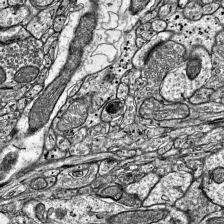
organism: Mouse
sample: Visual Cortex